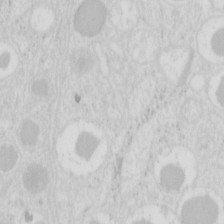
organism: Mouse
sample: Pancreas